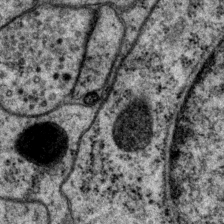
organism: P. pacificus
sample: Pharynx